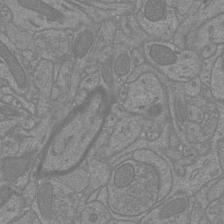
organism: Mouse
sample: Cortical neurons